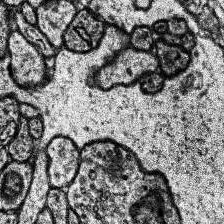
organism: Human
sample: Temporal Lobe